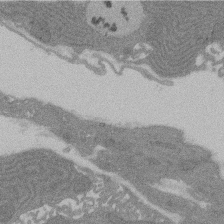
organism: Rat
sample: Salivary granule